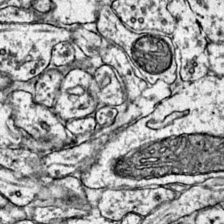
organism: Mouse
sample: Primary visual cortex